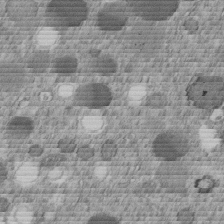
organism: C. elegans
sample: C. elegans embryo early stage